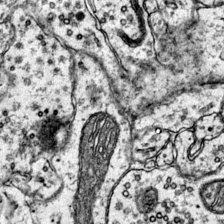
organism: Mouse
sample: Primary visual cortex